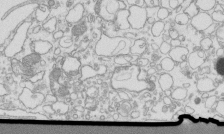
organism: Mouse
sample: Macrophages